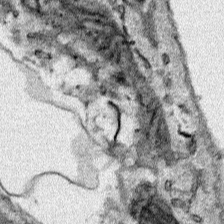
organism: Human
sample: Mitochondria in HCT116 cells